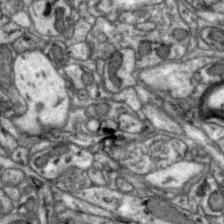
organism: Zebra finch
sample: Brain